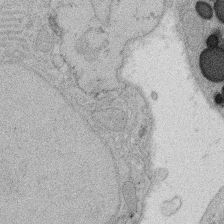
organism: Rat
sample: Salivary granule